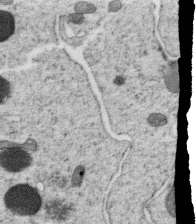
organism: C. elegans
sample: C. elegans oocyte; sperm cells